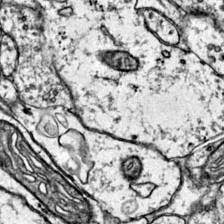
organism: Mouse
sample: Primary visual cortex